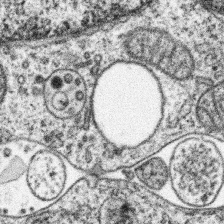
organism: Human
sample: HeLa cells